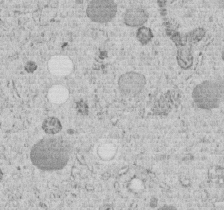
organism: C. elegans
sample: C. elegans embryo early stage